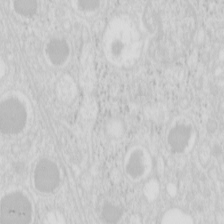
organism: Mouse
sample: Pancreas